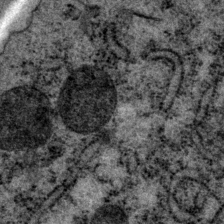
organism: P. pacificus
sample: Pharynx